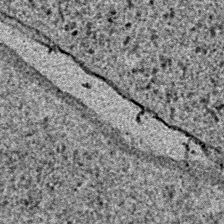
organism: E. coli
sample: E. Coli Bacteria